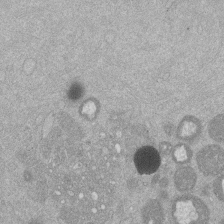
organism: Mouse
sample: Dividing mouse embryo 1 cell stage